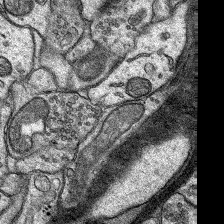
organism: Rat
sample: Hippocampus